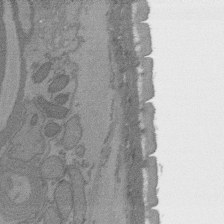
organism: C. elegans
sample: AFD neurons C. elegans